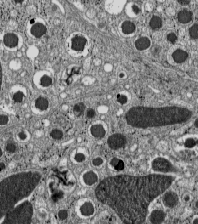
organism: C57BL Mouse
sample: Pancreatic islet